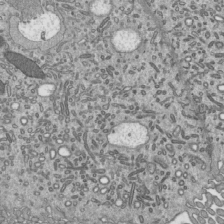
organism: Mouse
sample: Mouse epididymis efferent ductule cilia